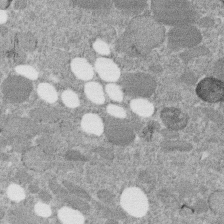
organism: C. elegans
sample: C. elegans embryo early stage